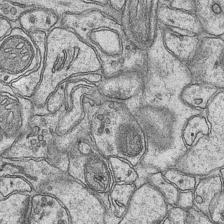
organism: Mouse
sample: CA1 Hippocampus